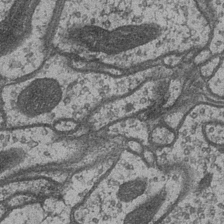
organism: Drosophila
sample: Optic medulla